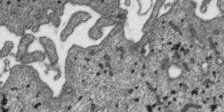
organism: Human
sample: Lung epithelial cells infected with SARS-CoV-2